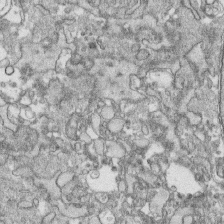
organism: Human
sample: CRL-1474